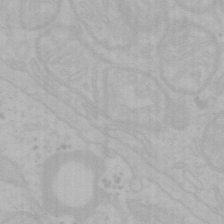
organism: Mouse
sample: Choroid plexus